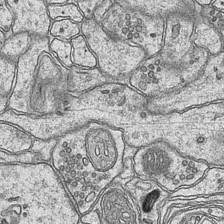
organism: Mouse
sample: CA1 Hippocampus